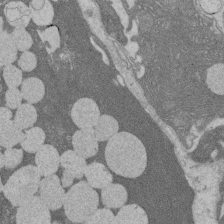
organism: Rat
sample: Salivary granule